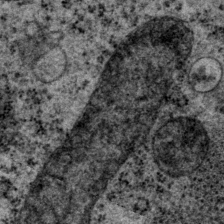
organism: P. pacificus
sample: Pharynx